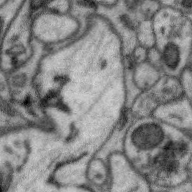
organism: Zebra finch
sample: Brain